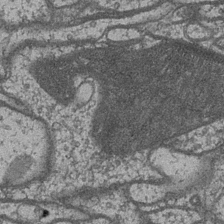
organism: Drosophila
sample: Optic medulla